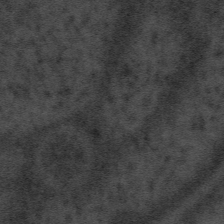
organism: Tuwongella immobilis